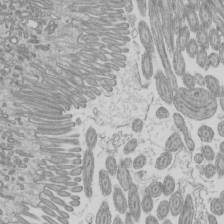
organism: Mouse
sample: Cilia; mouse epididymis